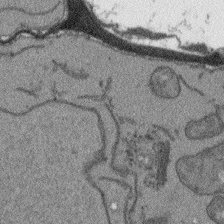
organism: Arabidopsis thaliana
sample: Root tip